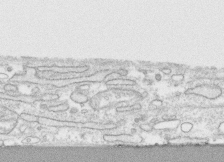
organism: Human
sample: CRL-1474